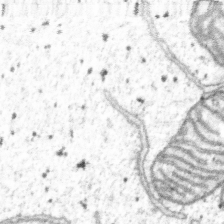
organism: Human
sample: HeLa cells